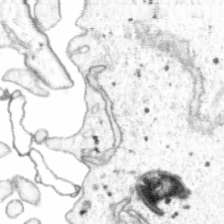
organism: Human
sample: HeLa cells